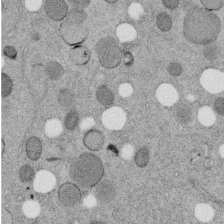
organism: C. elegans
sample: C. elegans embryo early stage